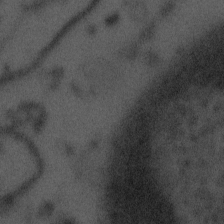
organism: Tuwongella immobilis